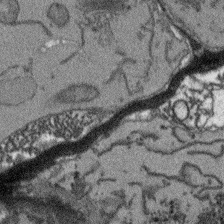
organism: Arabidopsis thaliana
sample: Root tip